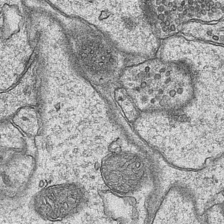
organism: Mouse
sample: CA1 Hippocampus